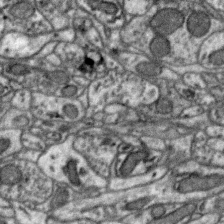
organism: Zebra finch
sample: Brain